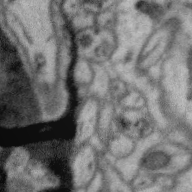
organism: Zebra finch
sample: Brain